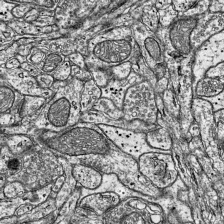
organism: Mouse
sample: Visual Cortex